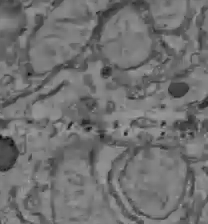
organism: C57BL Mouse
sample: Liver